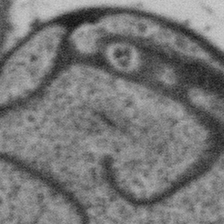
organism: Gemmata obscuriglobus